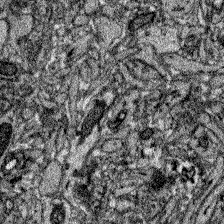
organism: Zebrafish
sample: Larval olfactory bulb